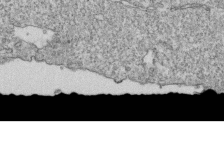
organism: Human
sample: HeLa cell HIV synapse